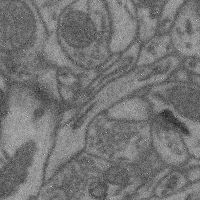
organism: Mouse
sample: Cerebral cortex